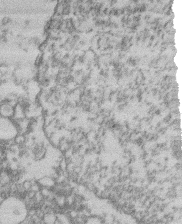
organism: Mouse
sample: T cell stromal cell synapse